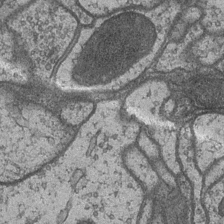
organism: Drosophila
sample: Optic medulla